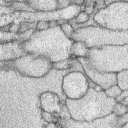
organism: Rabbit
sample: Retina